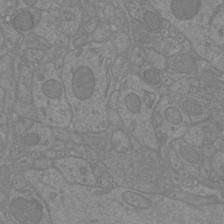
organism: Mouse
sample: Cortical neurons